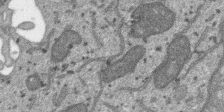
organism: Human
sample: Lung epithelial cells infected with SARS-CoV-2